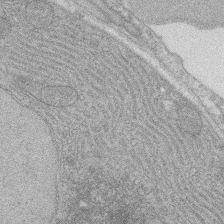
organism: Rat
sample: Salivary granule